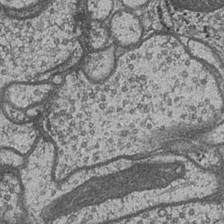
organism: Drosophila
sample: Optic medulla